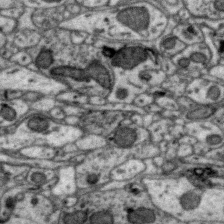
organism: Zebra finch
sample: Brain